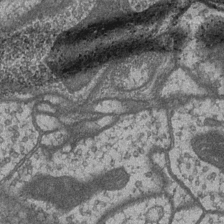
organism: Drosophila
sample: Optic medulla